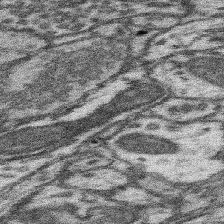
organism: Mouse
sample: Somatosensory cortex neuropil